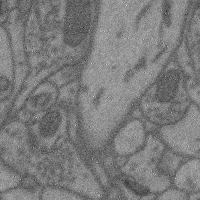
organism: Mouse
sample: Cerebral cortex